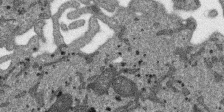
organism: Human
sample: Lung epithelial cells infected with SARS-CoV-2